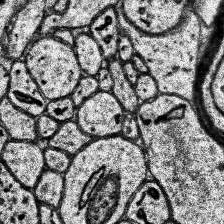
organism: Human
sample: Temporal Lobe